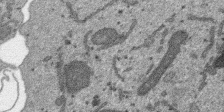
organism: Human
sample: Lung epithelial cells infected with SARS-CoV-2